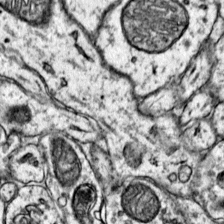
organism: Mouse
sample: Primary visual cortex